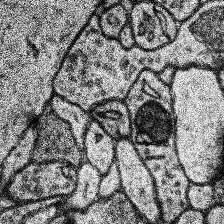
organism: Human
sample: Temporal Lobe